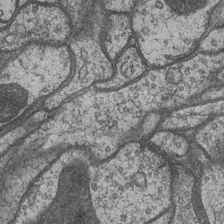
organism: Drosophila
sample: Optic medulla